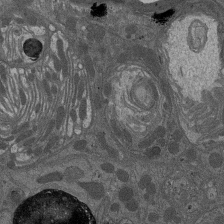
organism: Drosophila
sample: Antenna